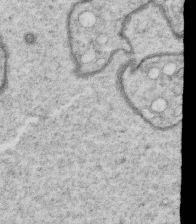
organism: C. elegans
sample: C. elegans oocyte; sperm cells